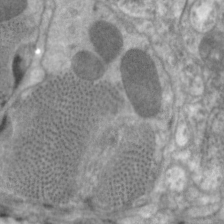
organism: C. elegans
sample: Pharynx